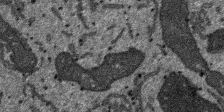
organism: Human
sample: Lung epithelial cells infected with SARS-CoV-2